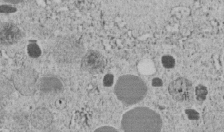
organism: C. elegans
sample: C. elegans embryo early stage